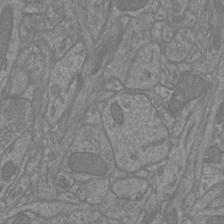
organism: Mouse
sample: Cortical neurons